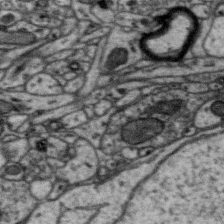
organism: Zebra finch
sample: Brain